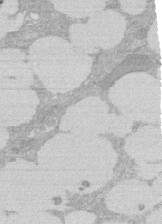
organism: Rat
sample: Salivary granule